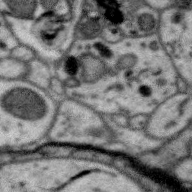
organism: Zebra finch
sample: Brain